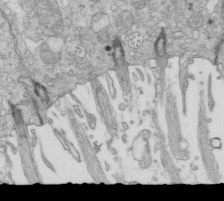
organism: Mouse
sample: Multiciliated cells